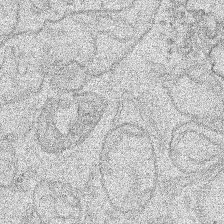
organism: Human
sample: Mitochondria in HCT116 cells